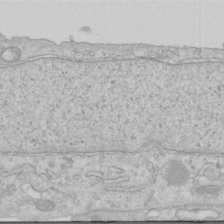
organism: Human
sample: Centriole in RPE cells